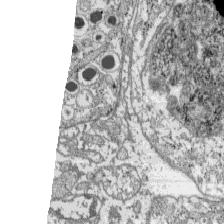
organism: C57BL Mouse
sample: Pancreatic islet